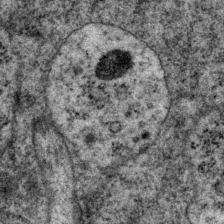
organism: P. pacificus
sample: Pharynx